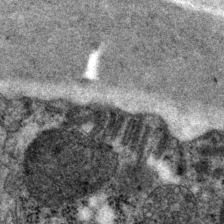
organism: P. pacificus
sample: Pharynx